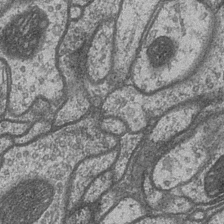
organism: Drosophila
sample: Optic medulla